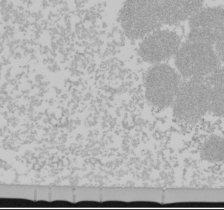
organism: Mouse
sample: Cancer cell death in ED-1 cells